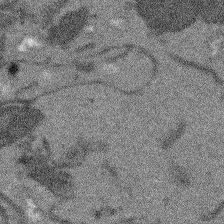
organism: Arabidopsis thaliana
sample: Root tip